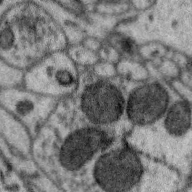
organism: Zebra finch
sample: Brain